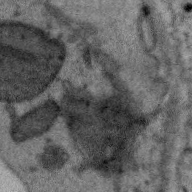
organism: Zebra finch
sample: Brain